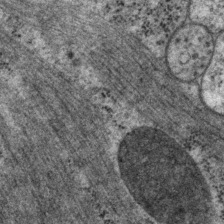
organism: P. pacificus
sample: Pharynx